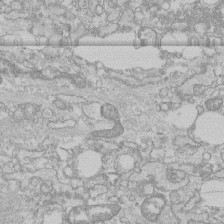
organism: Human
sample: CRL-1474